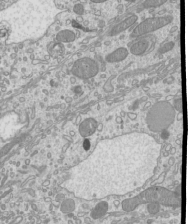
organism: Mouse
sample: Cilia; mouse epididymis